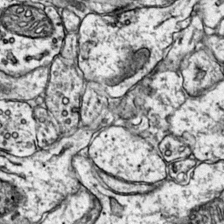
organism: Mouse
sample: Primary visual cortex